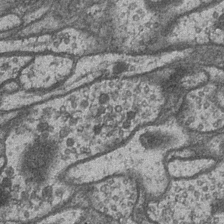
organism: Drosophila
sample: Optic medulla